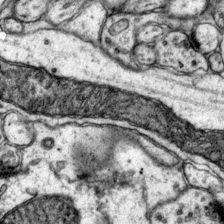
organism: Mouse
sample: Primary visual cortex